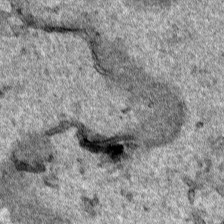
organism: Human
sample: Mitochondria in HCT116 cells